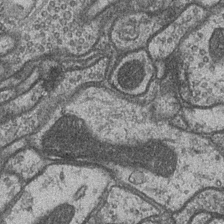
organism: Drosophila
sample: Optic medulla